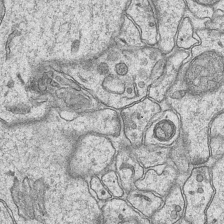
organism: Mouse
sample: CA1 Hippocampus